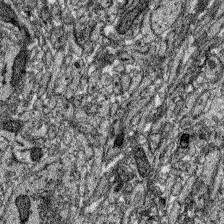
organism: Zebrafish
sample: Larval olfactory bulb